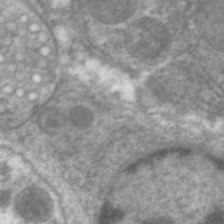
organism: C. elegans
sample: Pharynx